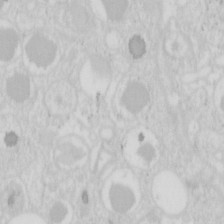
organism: Mouse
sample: Pancreas